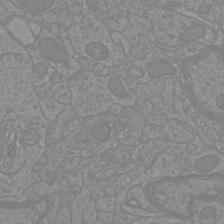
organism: Mouse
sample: Cortical neurons